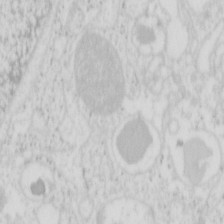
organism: Mouse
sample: Pancreas